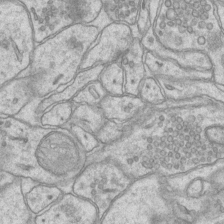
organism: Mouse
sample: CA1 Hippocampus